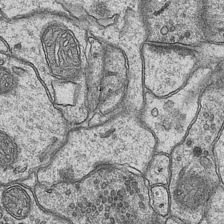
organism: Mouse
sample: CA1 Hippocampus